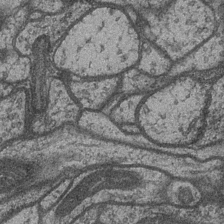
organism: Drosophila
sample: Optic medulla